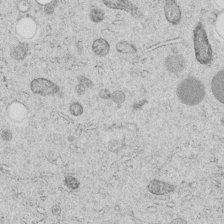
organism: C. elegans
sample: C. elegans embryo early stage